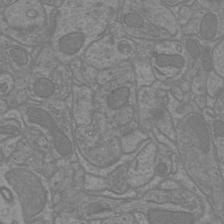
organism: Mouse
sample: Cortical neurons